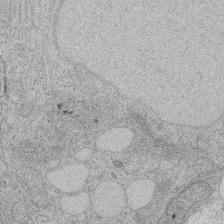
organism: Rat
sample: Salivary granule